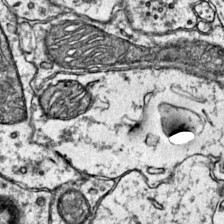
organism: Mouse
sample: Primary visual cortex